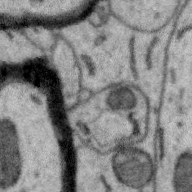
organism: Zebra finch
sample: Brain